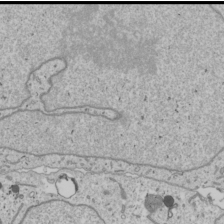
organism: Human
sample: Mitochondria in U2OS cells